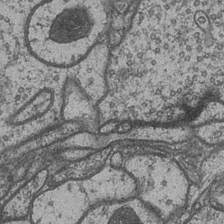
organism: Drosophila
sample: Optic medulla